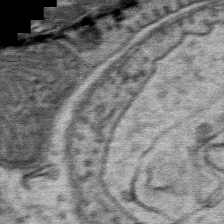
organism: Mouse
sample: Mouse Salivary gland